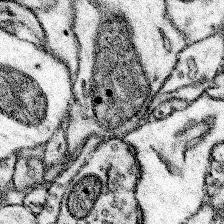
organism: Mouse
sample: Somatosensory cortex neuropil